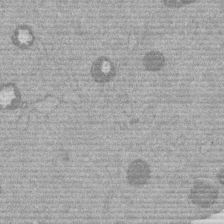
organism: Mouse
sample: Dividing mouse embryo 1 cell stage